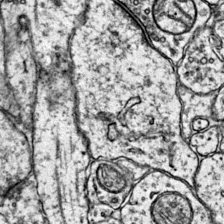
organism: Mouse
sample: Primary visual cortex